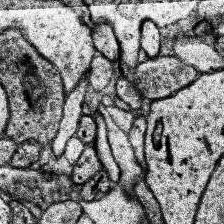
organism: Human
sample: Temporal Lobe